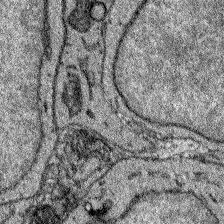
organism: Zebrafish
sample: Larval olfactory bulb